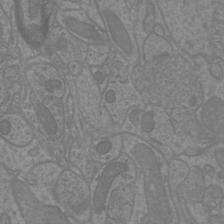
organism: Mouse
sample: Cortical neurons